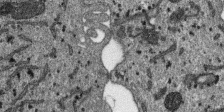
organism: Human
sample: Lung epithelial cells infected with SARS-CoV-2